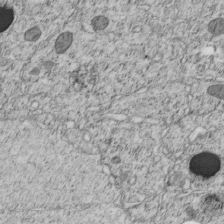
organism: C. elegans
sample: C. elegans embryo early stage